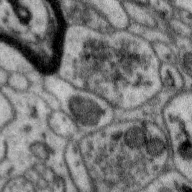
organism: Zebra finch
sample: Brain